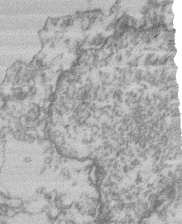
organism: Mouse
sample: T cell stromal cell synapse